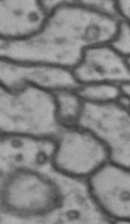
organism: Drosophila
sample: Brain